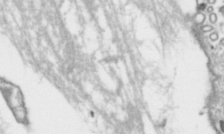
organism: Toxoplasma gondii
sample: Parasites in a vacuole inside a host cell